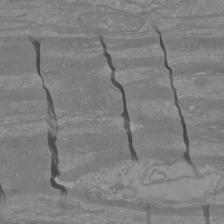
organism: Mouse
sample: Cortical neurons